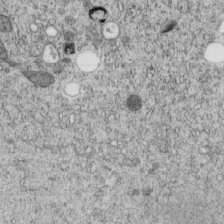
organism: C. elegans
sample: C. elegans embryo early stage